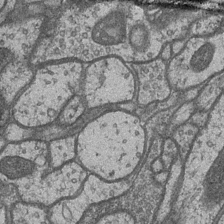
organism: Drosophila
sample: Optic medulla